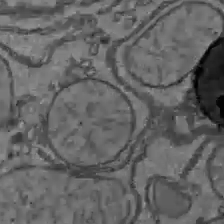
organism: C57BL Mouse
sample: Liver